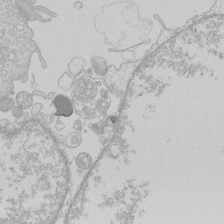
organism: Human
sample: Macrophage cells